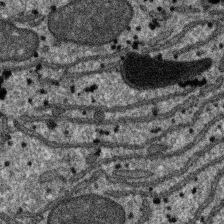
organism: Human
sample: Lung epithelial cells infected with SARS-CoV-2